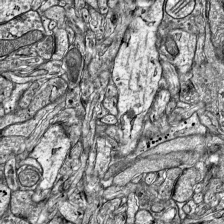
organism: Mouse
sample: Visual Cortex